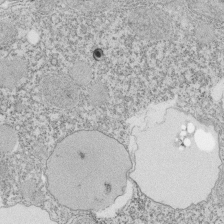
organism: Tetrahymena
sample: Cilia in tetrahymena